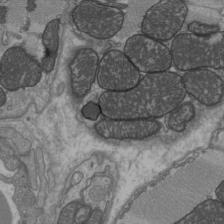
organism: C57BL Mouse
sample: Heart